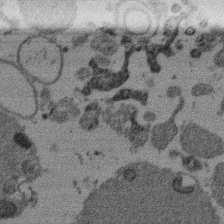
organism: Mouse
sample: Dividing mouse embryo 1 cell stage